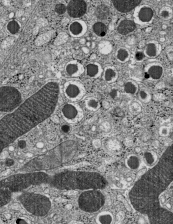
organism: C57BL Mouse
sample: Pancreatic islet